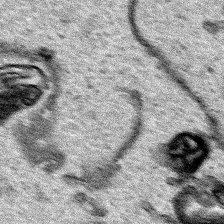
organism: Human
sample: Mitochondria in HCT116 cells